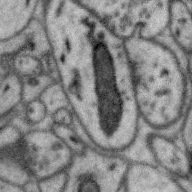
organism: Zebra finch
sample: Brain